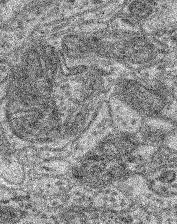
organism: Mouse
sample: Retina